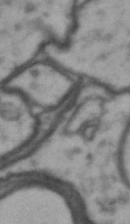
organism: Drosophila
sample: Brain